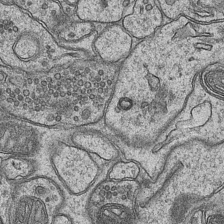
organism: Mouse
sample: CA1 Hippocampus